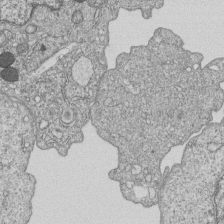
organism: Human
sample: MDA-MB-231 cells